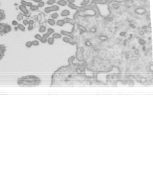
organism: Mouse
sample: Mouse epididymis efferent ductule cilia